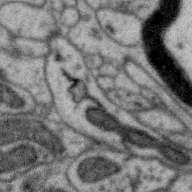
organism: Zebra finch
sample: Brain